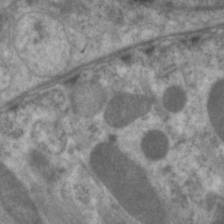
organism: C. elegans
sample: Pharynx